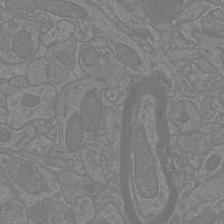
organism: Mouse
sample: Cortical neurons